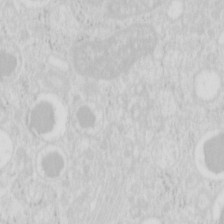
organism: Mouse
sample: Pancreas